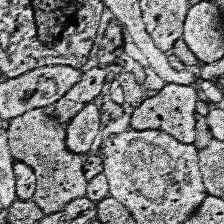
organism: Human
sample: Temporal Lobe